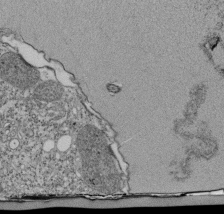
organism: Tetrahymena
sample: Cilia in tetrahymena